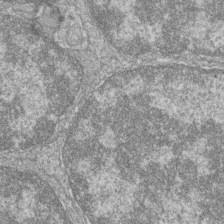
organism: Zebrafish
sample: Cilia; retinal pigment epithelium